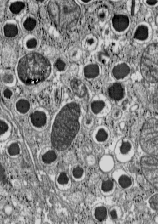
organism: C57BL Mouse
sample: Pancreatic islet